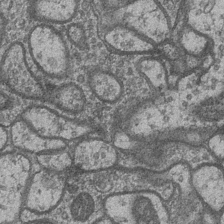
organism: Drosophila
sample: Optic medulla